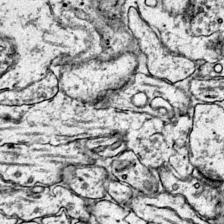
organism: Mouse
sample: Primary visual cortex